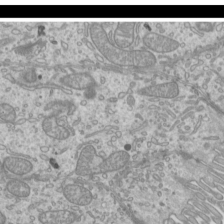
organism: Mouse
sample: Cilia; mouse epididymis